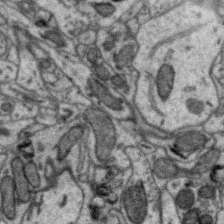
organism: Zebra finch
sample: Brain